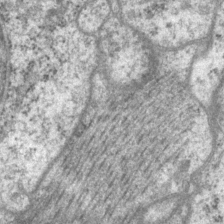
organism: P. pacificus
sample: Pharynx